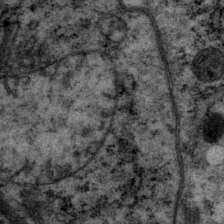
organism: P. pacificus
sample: Pharynx